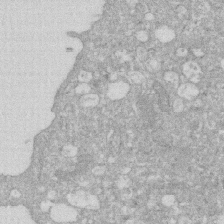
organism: Human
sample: HIV infected U937 cells